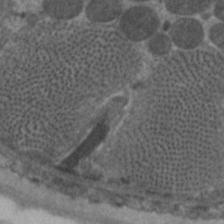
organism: C. elegans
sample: Pharynx